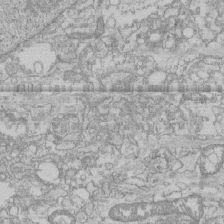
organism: Human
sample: CRL-1474